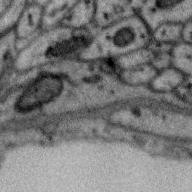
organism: Zebra finch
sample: Brain